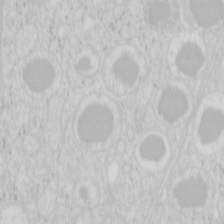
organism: Mouse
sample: Pancreas